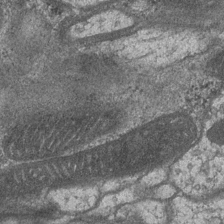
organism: Drosophila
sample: Optic medulla